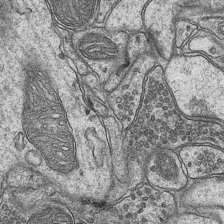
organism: Mouse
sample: CA1 Hippocampus